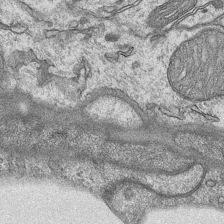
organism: Mouse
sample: CA1 Hippocampus